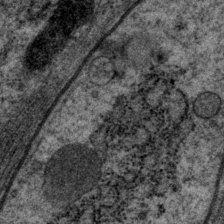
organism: P. pacificus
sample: Pharynx